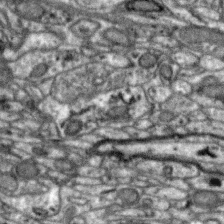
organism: Zebra finch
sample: Brain